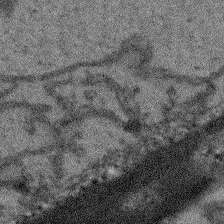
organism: Arabidopsis thaliana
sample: Root tip